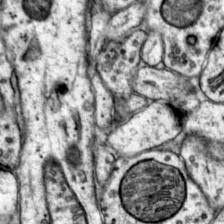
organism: Mouse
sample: Primary visual cortex